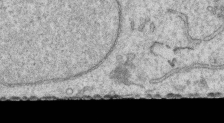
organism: Human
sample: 1205lu cells